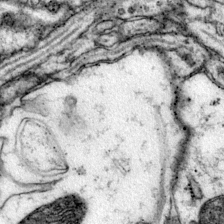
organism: Mouse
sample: Primary visual cortex